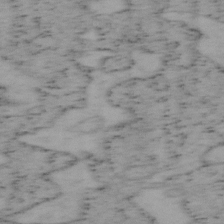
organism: Mouse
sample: OT-I killer T cells with ID8 ovarian cancer cells